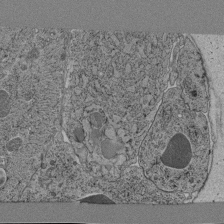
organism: C. elegans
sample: C. elegans pharynx